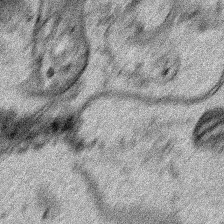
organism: Human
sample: Mitochondria in HCT116 cells